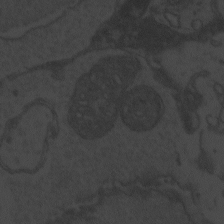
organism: Zebrafish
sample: Macrophage infected with Toxoplasma gondii